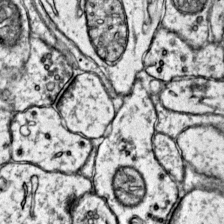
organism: Mouse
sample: Primary visual cortex